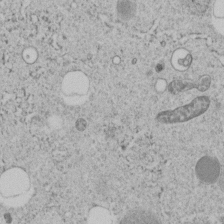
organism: C. elegans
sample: C. elegans embryo early stage